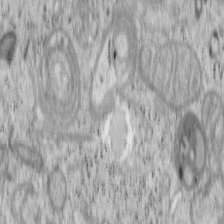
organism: Human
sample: HeLa cells